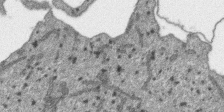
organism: Human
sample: Lung epithelial cells infected with SARS-CoV-2